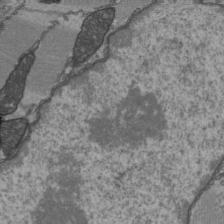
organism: C57BL Mouse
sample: Heart